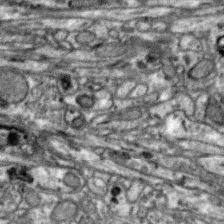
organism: Zebra finch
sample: Brain